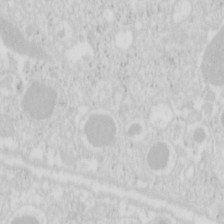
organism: Mouse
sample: Pancreas